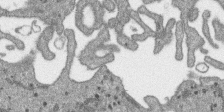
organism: Human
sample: Lung epithelial cells infected with SARS-CoV-2